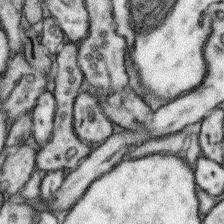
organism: Mouse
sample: Somatosensory cortex neuropil